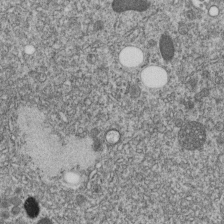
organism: C. elegans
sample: C. elegans embryo early stage